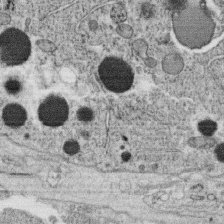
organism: C. elegans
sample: C. elegans oocyte; sperm cells